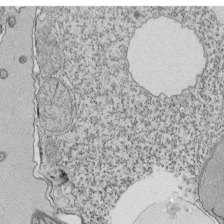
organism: Tetrahymena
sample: Cilia in tetrahymena